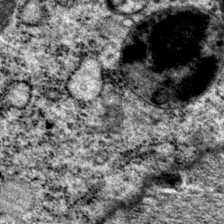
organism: P. pacificus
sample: Pharynx